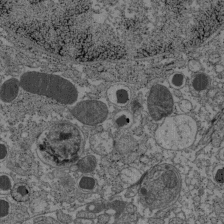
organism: C57BL Mouse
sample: Pancreatic islet